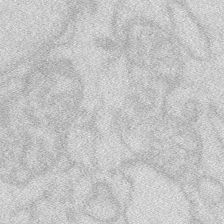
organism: Zebrafish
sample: Macrophage